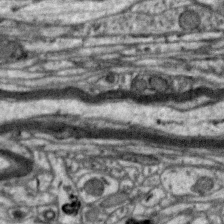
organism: Zebra finch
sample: Brain